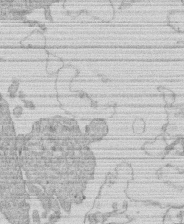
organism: Human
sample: Macrophage cells